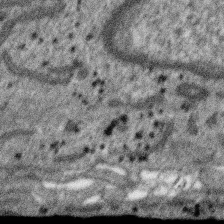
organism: Human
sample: Lung epithelial cells infected with SARS-CoV-2